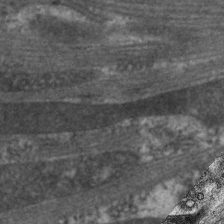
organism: C. elegans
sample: Pharynx